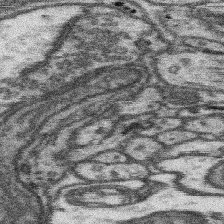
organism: Mouse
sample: Somatosensory cortex neuropil